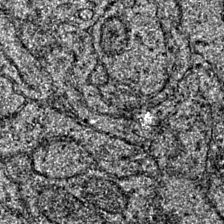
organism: Mouse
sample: Primary visual cortex